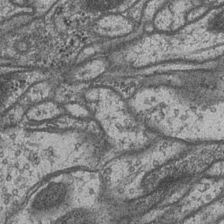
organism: Drosophila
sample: Optic medulla